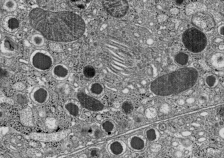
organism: C57BL Mouse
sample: Pancreatic islet